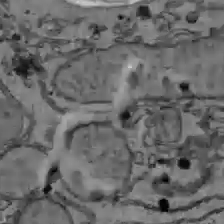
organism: C57BL Mouse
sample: Liver